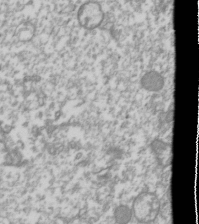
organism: Drosophila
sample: Cell division; meiosis; drosophila spermatocytes